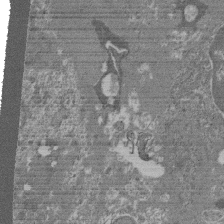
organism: Mouse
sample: Glomerulus